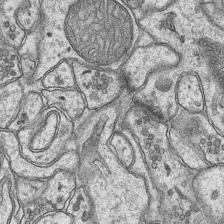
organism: Mouse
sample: CA1 Hippocampus